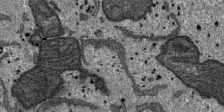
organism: Human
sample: Lung epithelial cells, uninfected (mock) control